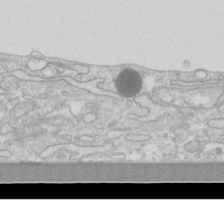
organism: Human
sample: Fibroblast cells